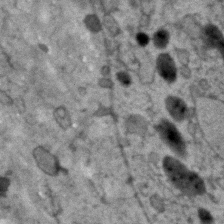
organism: Human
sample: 1205lu cells